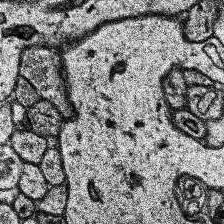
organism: Human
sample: Temporal Lobe